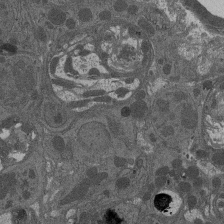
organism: Drosophila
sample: Antenna